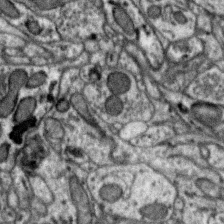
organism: Zebra finch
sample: Brain